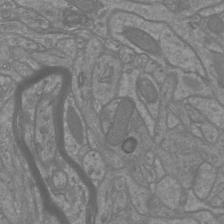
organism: Mouse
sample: Cortical neurons